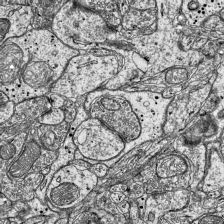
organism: Mouse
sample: Visual Cortex